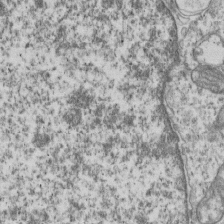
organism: Human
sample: MDA-MB-231 cells